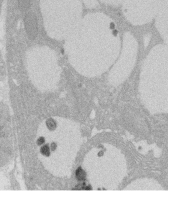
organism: Rat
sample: Salivary granule